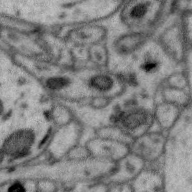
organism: Zebra finch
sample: Brain